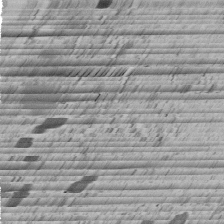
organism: C. elegans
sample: C. elegans embryo early stage